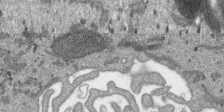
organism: Human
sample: Lung epithelial cells infected with SARS-CoV-2